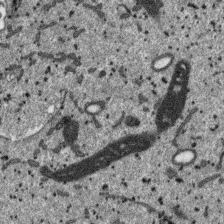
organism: Human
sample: Lung epithelial cells infected with SARS-CoV-2